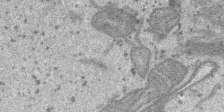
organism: Human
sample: Lung epithelial cells infected with SARS-CoV-2